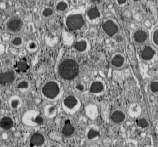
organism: C57BL Mouse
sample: Pancreatic islet